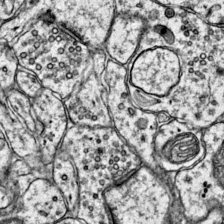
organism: Mouse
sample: Primary visual cortex